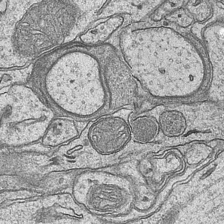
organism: Mouse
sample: CA1 Hippocampus